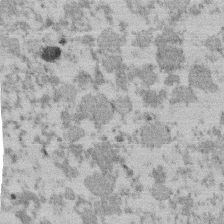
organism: Mouse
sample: Dividing mouse embryo 1 cell stage